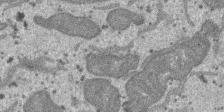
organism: Human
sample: Lung epithelial cells infected with SARS-CoV-2